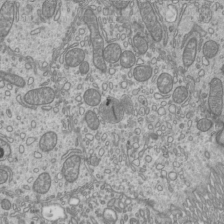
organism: Mouse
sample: Cilia; mouse epididymis